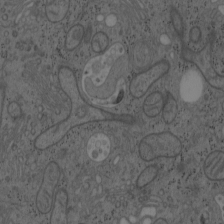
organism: Mouse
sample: OT-I killer T cells with ID8 ovarian cancer cells